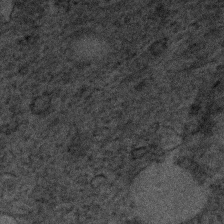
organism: Human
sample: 1205lu cells